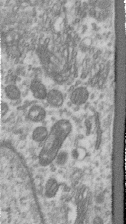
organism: Human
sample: Centriole in RPE cells